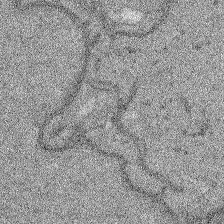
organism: Human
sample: HeLa cells